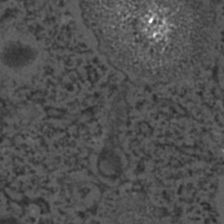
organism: C. elegans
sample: C. elegans embryo